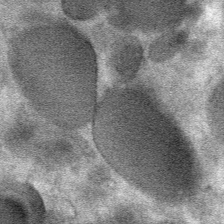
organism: Mouse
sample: Mouse Salivary gland